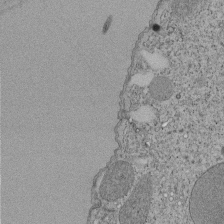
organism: Tetrahymena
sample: Cilia in tetrahymena